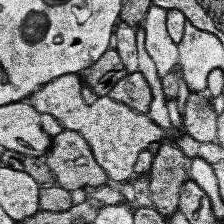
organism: Human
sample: Temporal Lobe